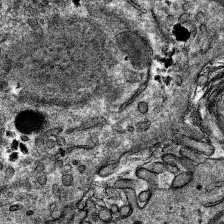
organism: Mouse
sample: Mouse hepatocytes